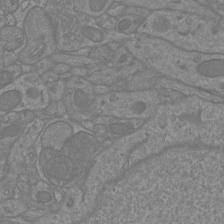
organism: Mouse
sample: Cortical neurons